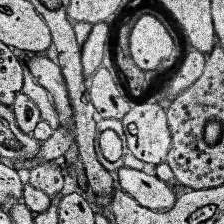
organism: Human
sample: Temporal Lobe